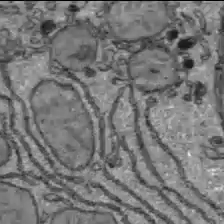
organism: C57BL Mouse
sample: Liver